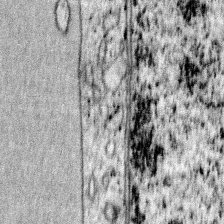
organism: Human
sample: HeLa cells